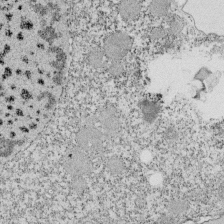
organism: Tetrahymena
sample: Cilia in tetrahymena